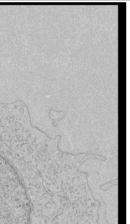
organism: Human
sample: Mitochondria in HCT116 cells